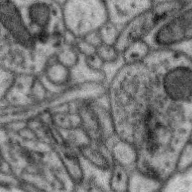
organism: Zebra finch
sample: Brain